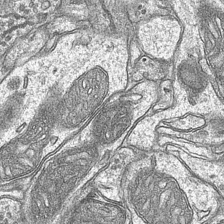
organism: Mouse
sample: CA1 Hippocampus